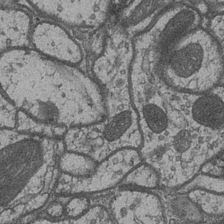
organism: Drosophila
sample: Optic medulla